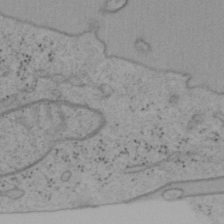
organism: Human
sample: HeLa cells